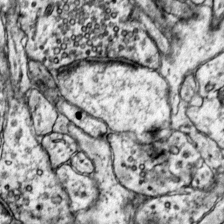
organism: Mouse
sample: Primary visual cortex